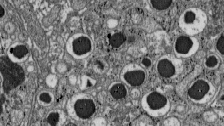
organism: C57BL Mouse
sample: Pancreatic islet